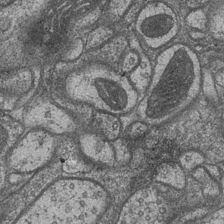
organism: Drosophila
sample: Optic medulla